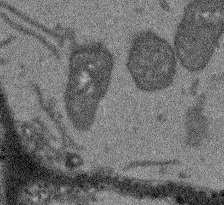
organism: Arabidopsis thaliana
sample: Root tip